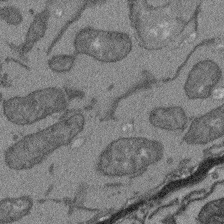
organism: Arabidopsis thaliana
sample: Root tip